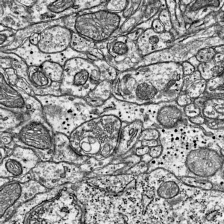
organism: Mouse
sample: Visual Cortex